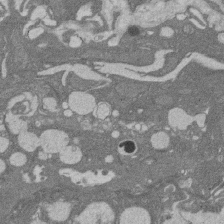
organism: Rat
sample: Salivary granule